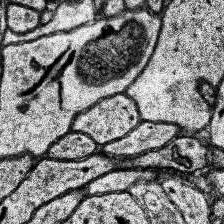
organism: Human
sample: Temporal Lobe